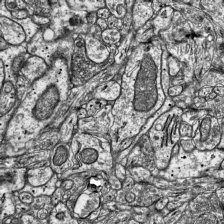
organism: Mouse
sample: Visual Cortex